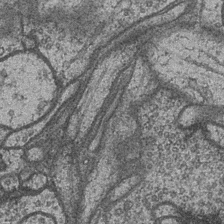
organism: Drosophila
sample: Optic medulla